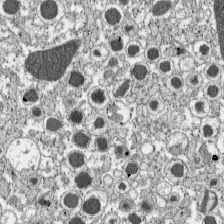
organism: C57BL Mouse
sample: Pancreatic islet